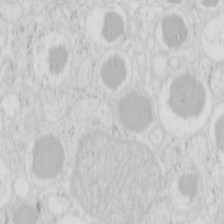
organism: Mouse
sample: Pancreas